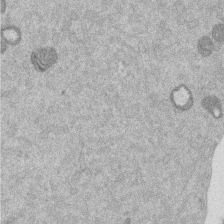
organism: Mouse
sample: Dividing mouse embryo 1 cell stage